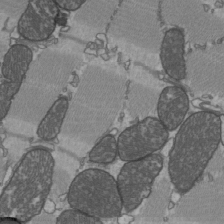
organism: C57BL Mouse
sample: Heart